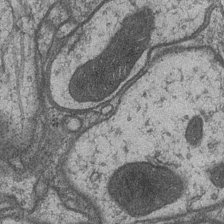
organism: Drosophila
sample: Optic medulla